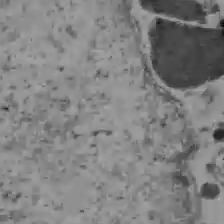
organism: C57BL Mouse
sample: Liver